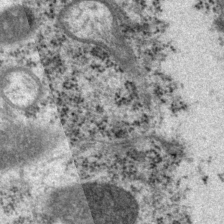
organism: P. pacificus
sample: Pharynx